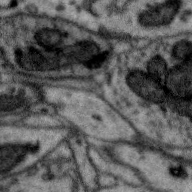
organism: Zebra finch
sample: Brain